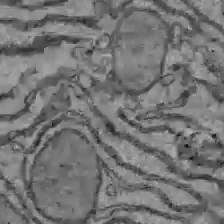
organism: C57BL Mouse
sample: Liver